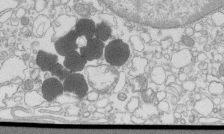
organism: Mouse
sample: Macrophages